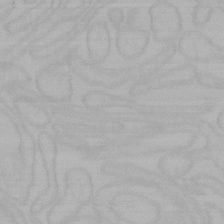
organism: Mouse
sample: Choroid plexus